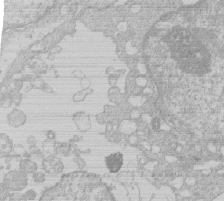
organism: Human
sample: Macrophage cells